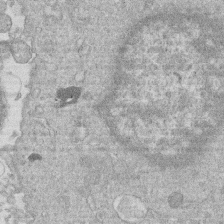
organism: Human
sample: Macrophage cells